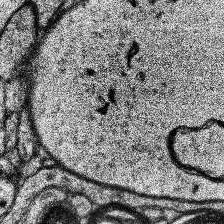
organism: Human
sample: Temporal Lobe